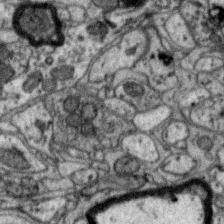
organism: Zebra finch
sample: Brain